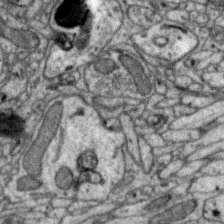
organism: Zebra finch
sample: Brain